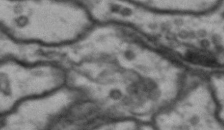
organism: Drosophila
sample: Brain